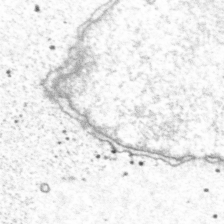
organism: Human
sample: HeLa cells